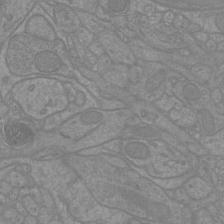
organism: Mouse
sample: Cortical neurons